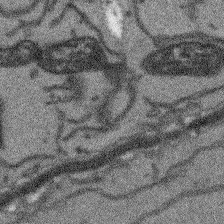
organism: Arabidopsis thaliana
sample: Root tip